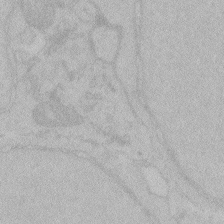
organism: Zebrafish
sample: Macrophage infected with Toxoplasma gondii